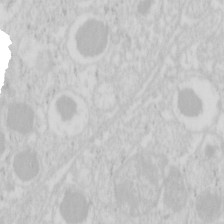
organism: Mouse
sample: Pancreas